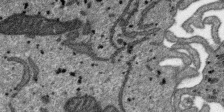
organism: Human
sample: Lung epithelial cells, uninfected (mock) control